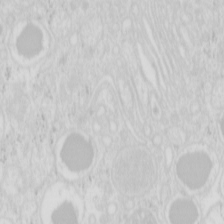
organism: Mouse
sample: Pancreas